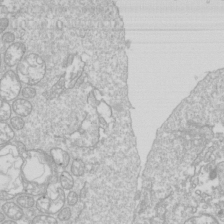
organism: Drosophila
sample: Cell division; meiosis; drosophila spermatocytes